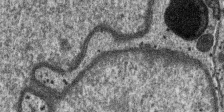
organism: Human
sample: Lung epithelial cells infected with SARS-CoV-2